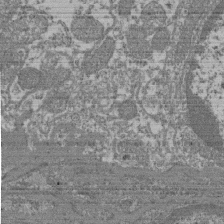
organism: Mouse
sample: Glomerulus